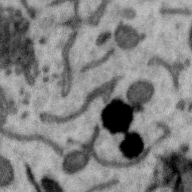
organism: Zebra finch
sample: Brain